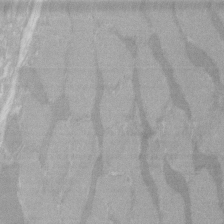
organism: C57BL Mouse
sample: Tibialis anterior muscle cell